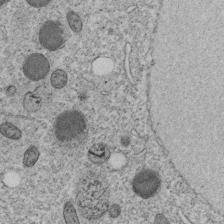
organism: C. elegans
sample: C. elegans embryo early stage